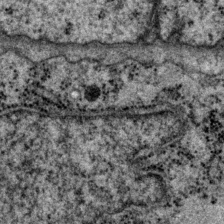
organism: P. pacificus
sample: Pharynx